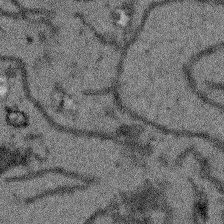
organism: Arabidopsis thaliana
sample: Root tip